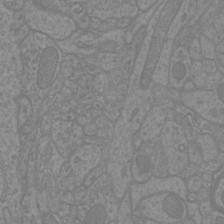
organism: Mouse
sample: Cortical neurons